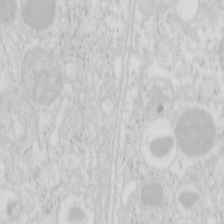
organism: Mouse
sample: Pancreas